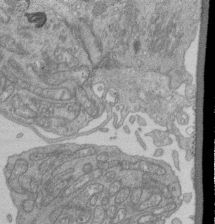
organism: Human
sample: Retinal organoid Rod and Cone cells